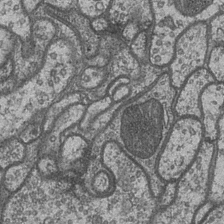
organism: Drosophila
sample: Optic medulla